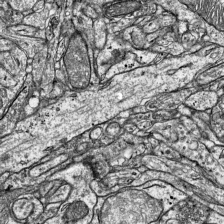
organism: Mouse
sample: Visual Cortex